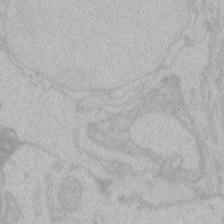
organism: Zebrafish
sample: Macrophage infected with Toxoplasma gondii